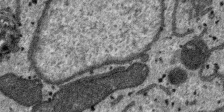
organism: Human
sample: Lung epithelial cells, uninfected (mock) control